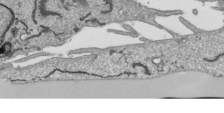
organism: Human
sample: Mitochondria in HCT116 cells